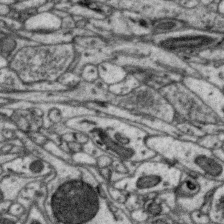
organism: Zebra finch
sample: Brain